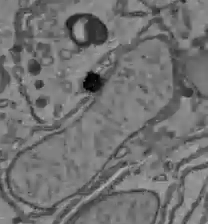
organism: C57BL Mouse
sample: Liver